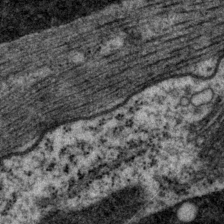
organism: P. pacificus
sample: Pharynx